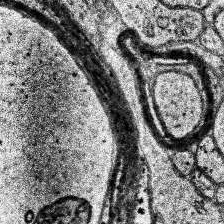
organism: Human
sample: Temporal Lobe